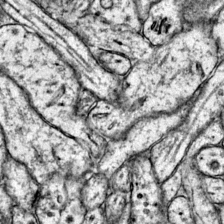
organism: Mouse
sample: Primary visual cortex